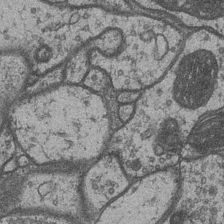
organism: Drosophila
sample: Optic medulla